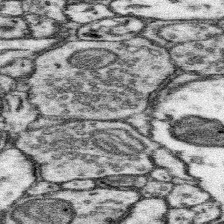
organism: Mouse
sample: Somatosensory cortex neuropil